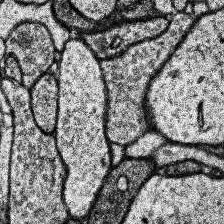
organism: Human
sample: Temporal Lobe